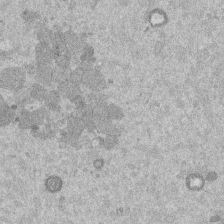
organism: Mouse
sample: Dividing mouse embryo 1 cell stage